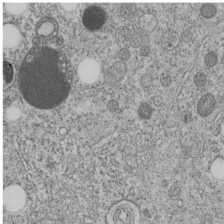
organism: C. elegans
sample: C. elegans embryo early stage